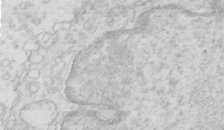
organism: Mouse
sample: Multiciliated cells